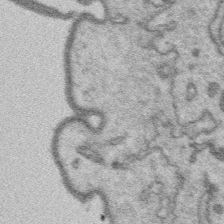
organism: Platynereis dumerilii